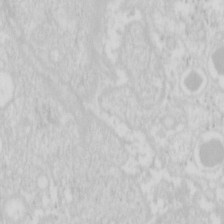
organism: Mouse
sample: Pancreas